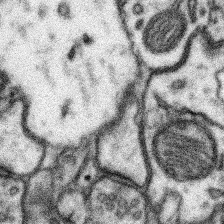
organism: Mouse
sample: Somatosensory cortex neuropil